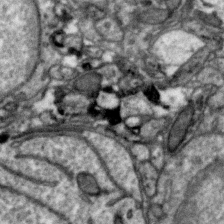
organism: Zebra finch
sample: Brain